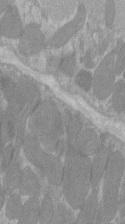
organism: C57BL Mouse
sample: Tibialis anterior muscle cell